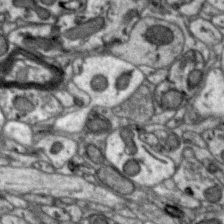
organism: Zebra finch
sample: Brain